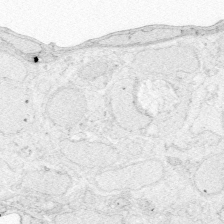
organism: Zebrafish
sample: Whole-Brain